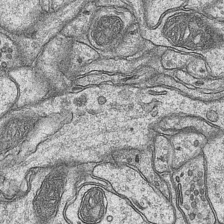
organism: Mouse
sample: CA1 Hippocampus